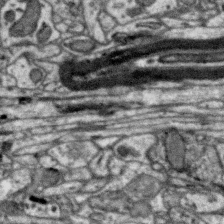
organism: Zebra finch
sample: Brain